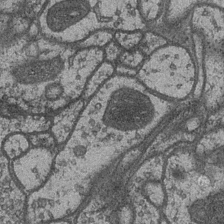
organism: Drosophila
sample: Optic medulla